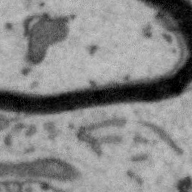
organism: Zebra finch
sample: Brain